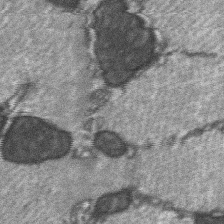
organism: C57BL Mouse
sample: Soleus